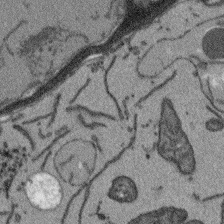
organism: Arabidopsis thaliana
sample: Root tip